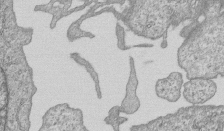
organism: Human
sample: MDA-MB-231 cells